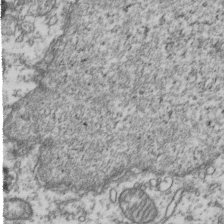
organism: Human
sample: Activated Jurkat CD4+ T cells